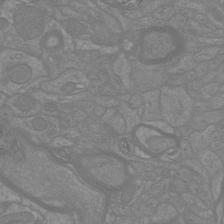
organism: Mouse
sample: Cortical neurons